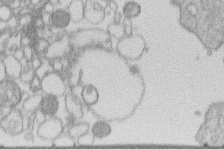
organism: Human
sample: Macrophage cells